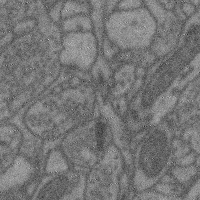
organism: Mouse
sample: Cerebral cortex